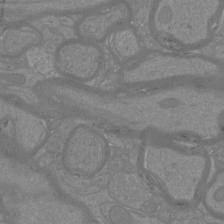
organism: Mouse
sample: Cortical neurons